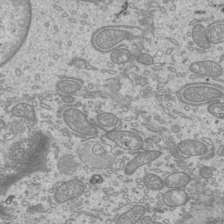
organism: Mouse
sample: Cilia; mouse epididymis